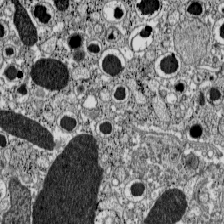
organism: C57BL Mouse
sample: Pancreatic islet